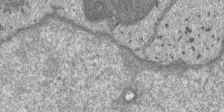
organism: Human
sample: Lung epithelial cells infected with SARS-CoV-2